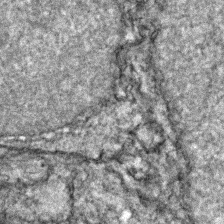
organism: Zebrafish